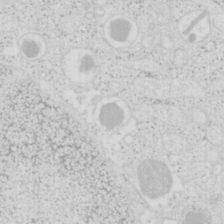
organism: Mouse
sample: Pancreas